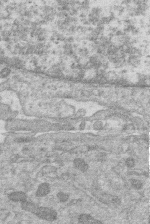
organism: Human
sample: Macrophage cells